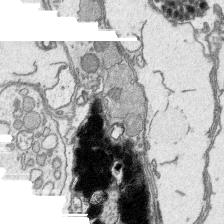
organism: Platynereis dumerilii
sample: Parapodia